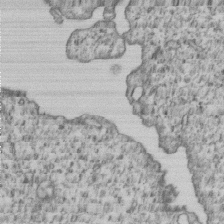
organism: Human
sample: MDA-MB-231 cells